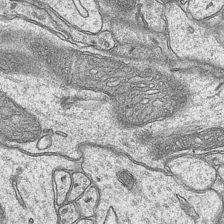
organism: Mouse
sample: CA1 Hippocampus